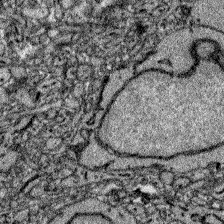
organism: Zebrafish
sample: Larval olfactory bulb